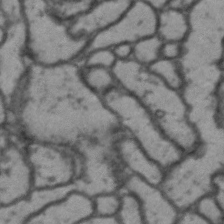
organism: Drosophila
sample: Brain